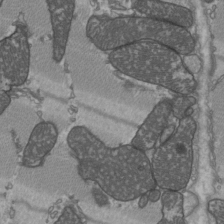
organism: C57BL Mouse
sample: Heart